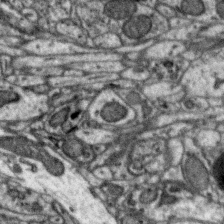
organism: Zebra finch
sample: Brain